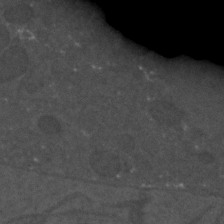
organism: C. elegans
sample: C. elegans embryo